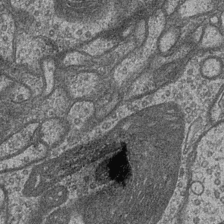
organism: Drosophila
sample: Optic medulla